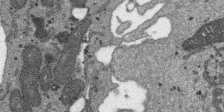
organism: Human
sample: Lung epithelial cells infected with SARS-CoV-2